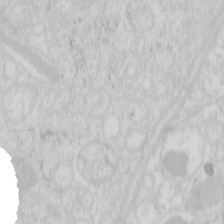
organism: Mouse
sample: Pancreas